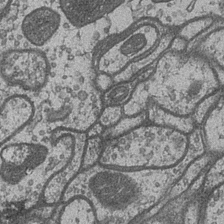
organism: Drosophila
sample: Optic medulla